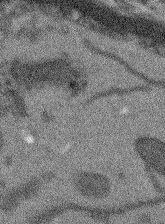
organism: Arabidopsis thaliana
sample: Root tip